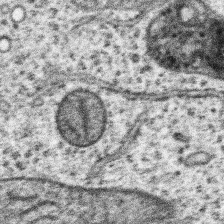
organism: Human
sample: HeLa cells